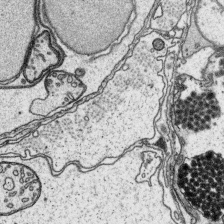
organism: Platynereis dumerilii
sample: Parapodia